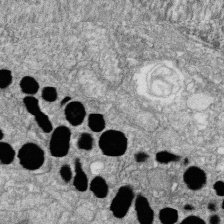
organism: Zebrafish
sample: Cilia; retinal pigment epithelium